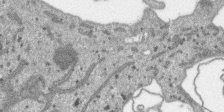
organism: Human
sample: Lung epithelial cells infected with SARS-CoV-2